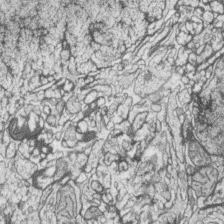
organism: Zebrafish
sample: synaptic ribbons in rod cells and cone cells